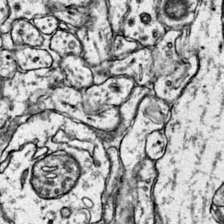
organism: Mouse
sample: Primary visual cortex